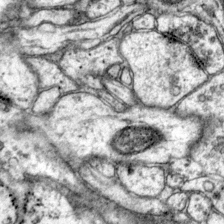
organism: Mouse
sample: Primary visual cortex